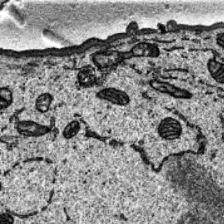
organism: Human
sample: HeLa cells